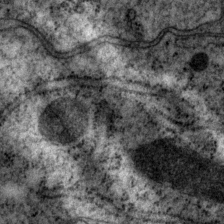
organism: P. pacificus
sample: Pharynx